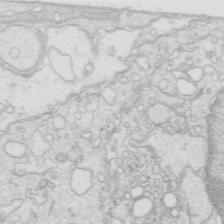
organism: Mouse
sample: Multiciliated cells